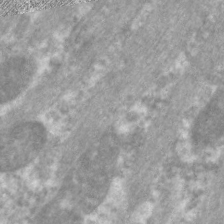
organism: C. elegans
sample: Pharynx